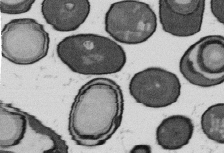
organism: B. subtilis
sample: Bacterial spore